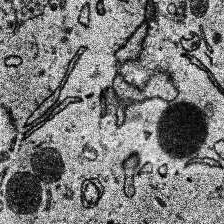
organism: Human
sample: Temporal Lobe